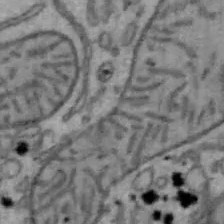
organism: Mouse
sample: Liver